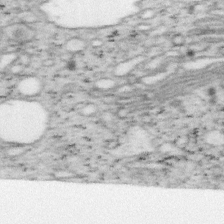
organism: Mouse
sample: OT-I killer T cells with ID8 ovarian cancer cells